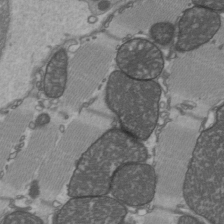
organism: C57BL Mouse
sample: Heart